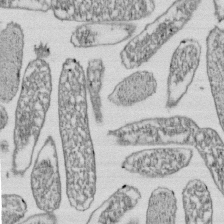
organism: E. coli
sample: Bacterial nucleoid